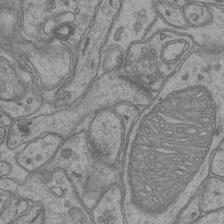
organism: Mouse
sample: CA1 Hippocampus